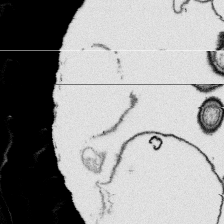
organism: Platynereis dumerilii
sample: Parapodia